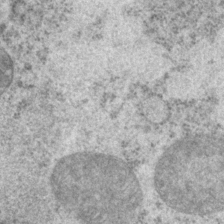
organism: P. pacificus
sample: Pharynx